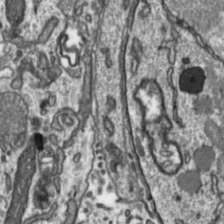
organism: Toxoplasma gondii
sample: Parasites in a vacuole inside a host cell